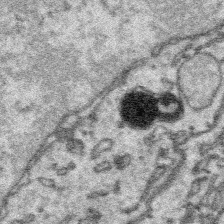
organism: Platynereis dumerilii